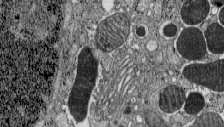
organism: C57BL Mouse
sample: Pancreatic islet